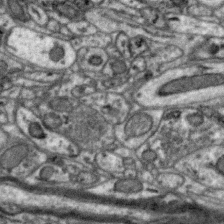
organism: Zebra finch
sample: Brain